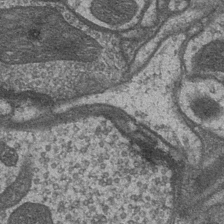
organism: Drosophila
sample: Optic medulla